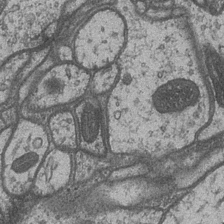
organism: Drosophila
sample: Optic medulla